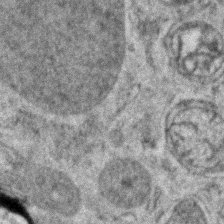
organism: Zebrafish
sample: Zebrafish embryo